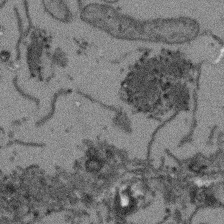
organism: Arabidopsis thaliana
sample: Root tip